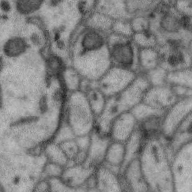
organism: Zebra finch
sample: Brain